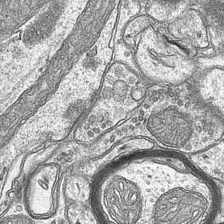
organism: Mouse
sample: CA1 Hippocampus